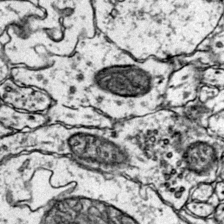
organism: Mouse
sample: Primary visual cortex